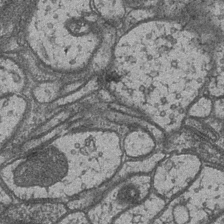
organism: Drosophila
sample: Optic medulla